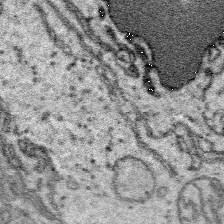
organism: Platynereis dumerilii